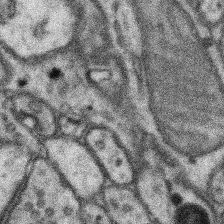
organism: Mouse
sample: Somatosensory cortex neuropil